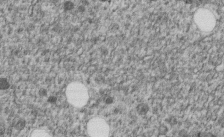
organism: C. elegans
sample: C. elegans embryo early stage